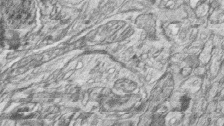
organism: Zebrafish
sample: synaptic ribbons in rod cells and cone cells